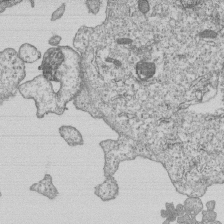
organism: Human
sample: MDA-MB-231 cells